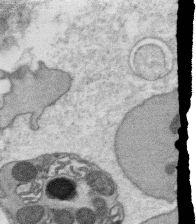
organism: C. elegans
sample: C. elegans oocyte; sperm cells